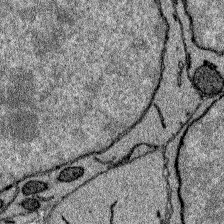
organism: Zebrafish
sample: Larval olfactory bulb